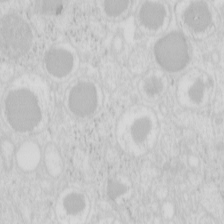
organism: Mouse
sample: Pancreas